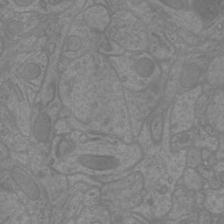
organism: Mouse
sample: Cortical neurons